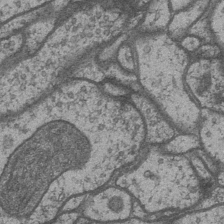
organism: Drosophila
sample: Optic medulla